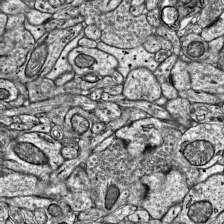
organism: Mouse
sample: Visual Cortex